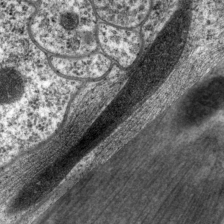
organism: P. pacificus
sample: Pharynx